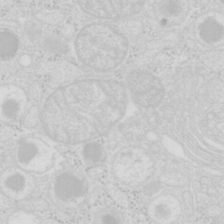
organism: Mouse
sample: Pancreas